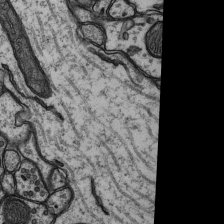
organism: Rat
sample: Hippocampus